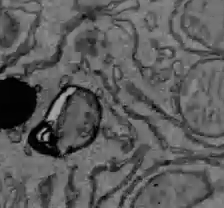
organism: C57BL Mouse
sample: Liver